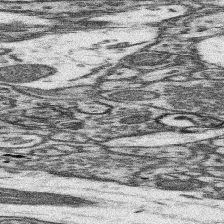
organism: Mouse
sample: Somatosensory cortex neuropil